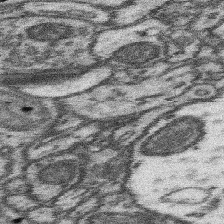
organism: Mouse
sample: Somatosensory cortex neuropil